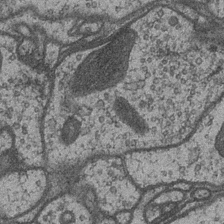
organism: Drosophila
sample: Optic medulla